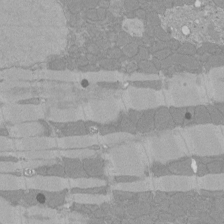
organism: Rat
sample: Left ventricle